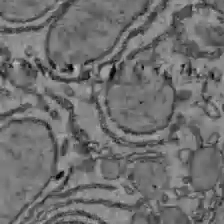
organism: C57BL Mouse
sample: Liver